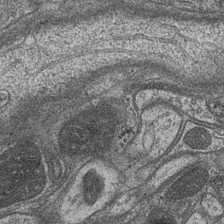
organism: Drosophila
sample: Optic medulla